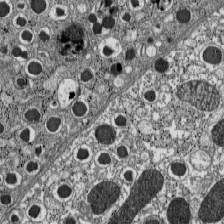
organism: C57BL Mouse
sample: Pancreatic islet